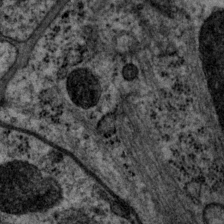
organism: P. pacificus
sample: Pharynx